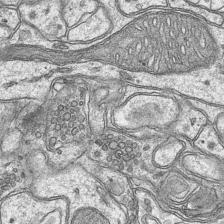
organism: Mouse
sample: CA1 Hippocampus